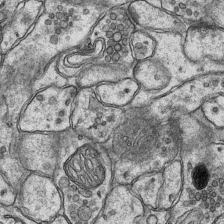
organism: Mouse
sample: CA1 Hippocampus